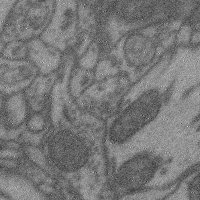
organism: Mouse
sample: Cerebral cortex